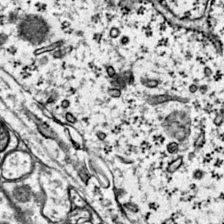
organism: Mouse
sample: Primary visual cortex